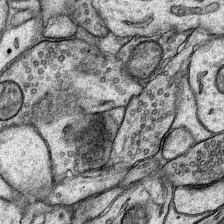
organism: Rat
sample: Hippocampus